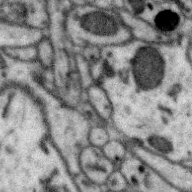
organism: Zebra finch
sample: Brain